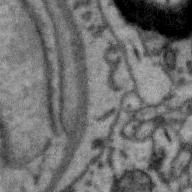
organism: Zebra finch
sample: Brain